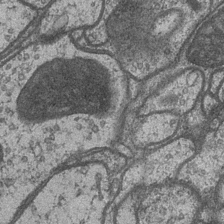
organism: Drosophila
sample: Optic medulla